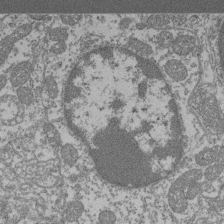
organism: Mouse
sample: Glomerulus